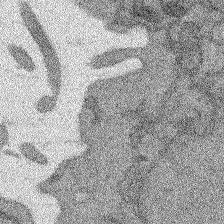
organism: Human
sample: HeLa cells